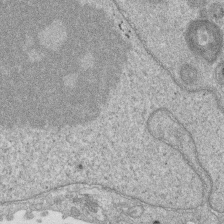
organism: Human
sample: HeLa cell HIV synapse